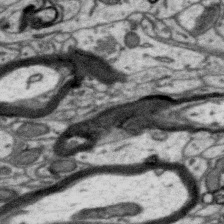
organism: Zebra finch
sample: Brain